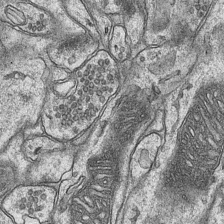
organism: Mouse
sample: CA1 Hippocampus